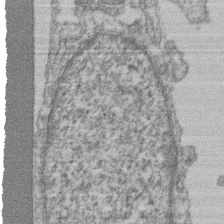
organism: Mouse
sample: T cell stromal cell synapse